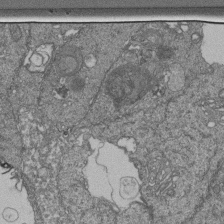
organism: Human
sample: Retinal organoid Rod and Cone cells